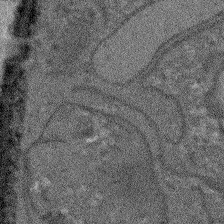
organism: Arabidopsis thaliana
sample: Root tip